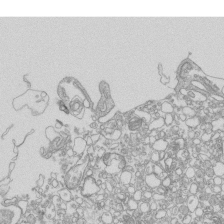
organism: Mouse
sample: Macrophages